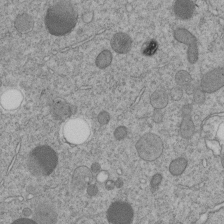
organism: C. elegans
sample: C. elegans embryo early stage